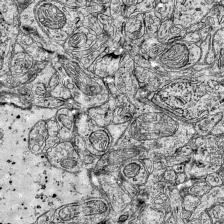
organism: Mouse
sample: Visual Cortex